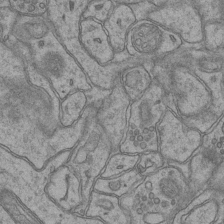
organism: Mouse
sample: CA1 Hippocampus